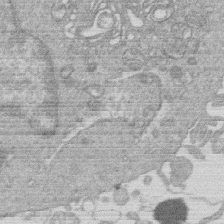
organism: Human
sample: Macrophage cells